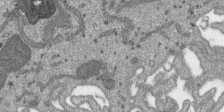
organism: Human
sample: Lung epithelial cells infected with SARS-CoV-2